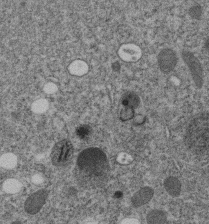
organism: C. elegans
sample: C. elegans embryo early stage